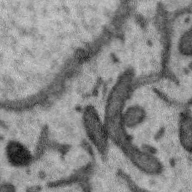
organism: Zebra finch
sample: Brain